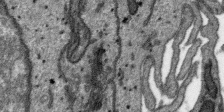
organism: Human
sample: Lung epithelial cells, uninfected (mock) control